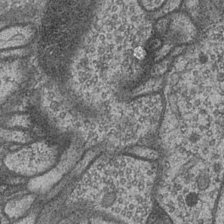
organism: Drosophila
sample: Optic medulla